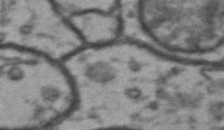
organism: Drosophila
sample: Brain